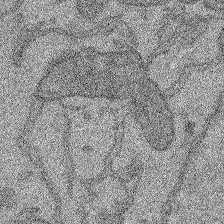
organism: Human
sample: HeLa cells